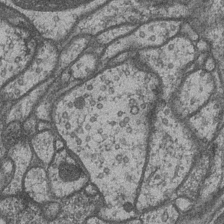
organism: Drosophila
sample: Optic medulla